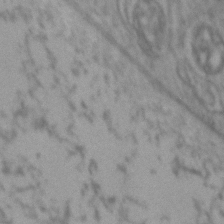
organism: Zebrafish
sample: Zebrafish embryo